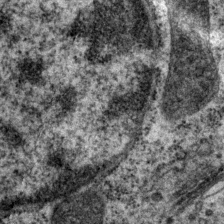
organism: P. pacificus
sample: Pharynx